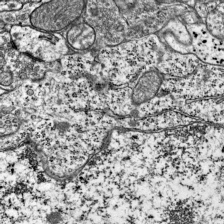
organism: Mouse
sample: Visual Cortex